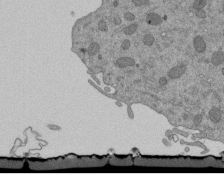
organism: Mouse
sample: ED-1 cell nuclei; centrioles